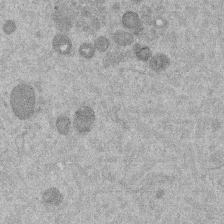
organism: Mouse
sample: Dividing mouse embryo 1 cell stage